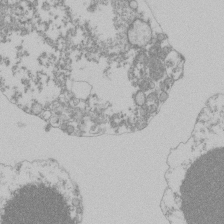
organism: Mouse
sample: Activated Pmel transgenic CD8+ T Cells